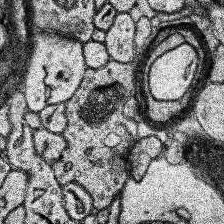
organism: Human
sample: Temporal Lobe